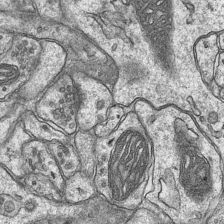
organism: Mouse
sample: CA1 Hippocampus